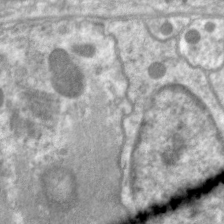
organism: C. elegans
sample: Pharynx